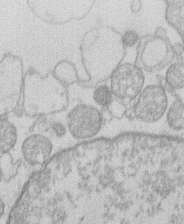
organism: Human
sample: Macrophage cells